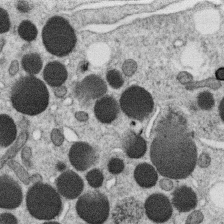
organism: C. elegans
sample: C. elegans oocyte; sperm cells